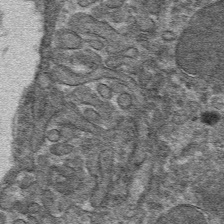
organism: Mouse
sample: Mouse hepatocytes